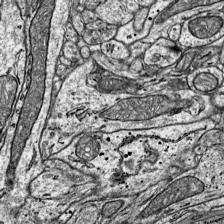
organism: Mouse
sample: Visual Cortex